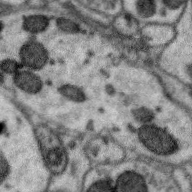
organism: Zebra finch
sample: Brain